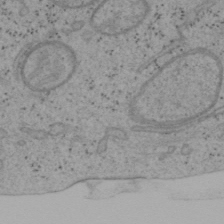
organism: Human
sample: HeLa cells